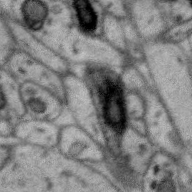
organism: Zebra finch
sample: Brain